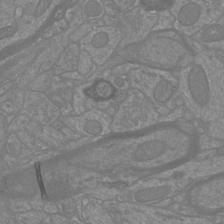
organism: Mouse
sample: Cortical neurons